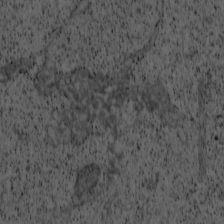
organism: African green monkey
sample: COS-7 cells